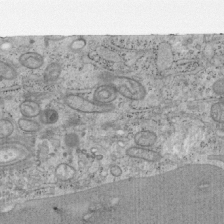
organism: Human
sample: HeLa cells